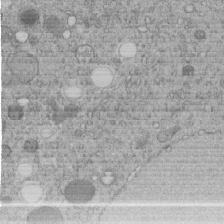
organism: C. elegans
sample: C. elegans embryo early stage